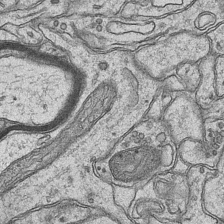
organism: Mouse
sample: CA1 Hippocampus